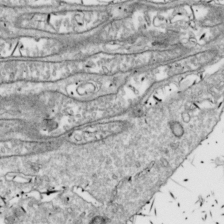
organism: Drosophila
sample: Cell division; meiosis; drosophila spermatocytes